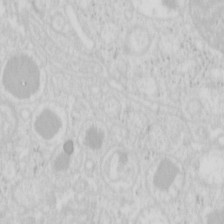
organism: Mouse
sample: Pancreas